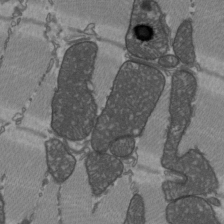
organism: C57BL Mouse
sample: Heart